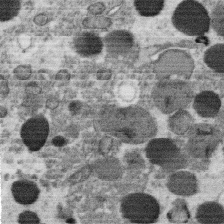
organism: C. elegans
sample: C. elegans oocyte; sperm cells